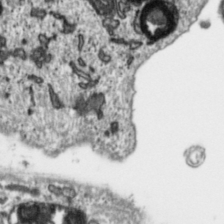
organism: Toxoplasma gondii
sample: Parasites in a vacuole inside a host cell